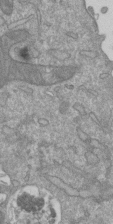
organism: Mouse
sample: ED-1 cell nuclei; centrioles